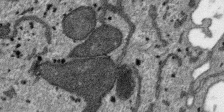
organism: Human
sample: Lung epithelial cells, uninfected (mock) control